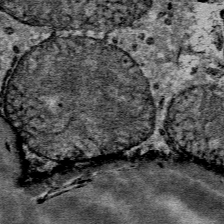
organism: Mouse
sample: Mouse Salivary gland